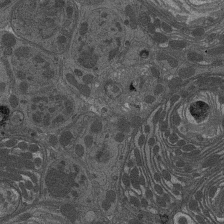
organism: Drosophila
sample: Antenna